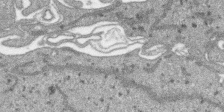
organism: Human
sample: Lung epithelial cells infected with SARS-CoV-2